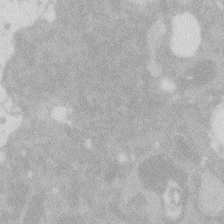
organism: Zebrafish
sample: Macrophage